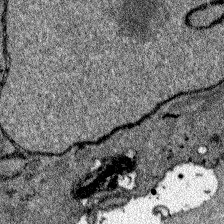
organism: Zebrafish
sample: Larval olfactory bulb